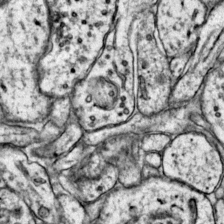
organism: Mouse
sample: Primary visual cortex